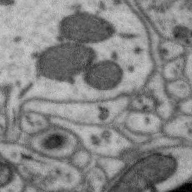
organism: Zebra finch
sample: Brain